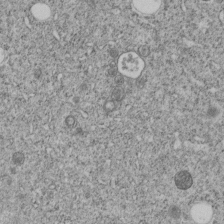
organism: C. elegans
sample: C. elegans embryo early stage